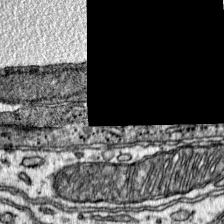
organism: Mouse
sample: Primary visual cortex